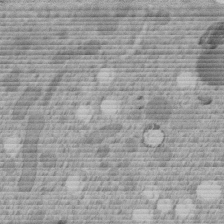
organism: C. elegans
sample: C. elegans embryo early stage